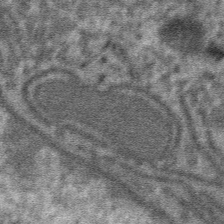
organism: Mouse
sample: Mouse hepatocytes